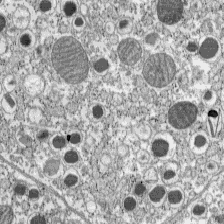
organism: C57BL Mouse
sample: Pancreatic islet